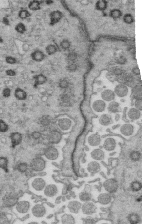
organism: Mouse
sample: Multiciliated cells